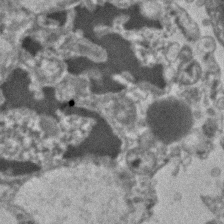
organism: Human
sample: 1205lu cells